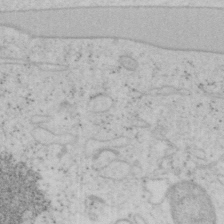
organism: Human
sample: HeLa cells